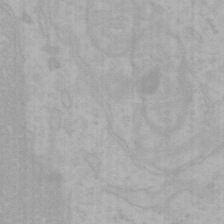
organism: Mouse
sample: Choroid plexus